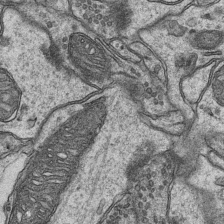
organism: Mouse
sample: CA1 Hippocampus